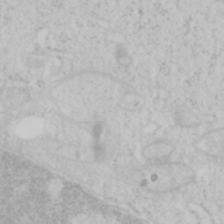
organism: Mouse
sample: OT-I killer T cells with ID8 ovarian cancer cells